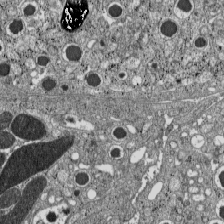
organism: C57BL Mouse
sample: Pancreatic islet